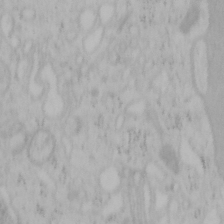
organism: Mouse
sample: OT-I killer T cells with ID8 ovarian cancer cells